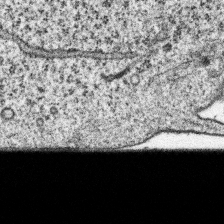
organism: Human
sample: HeLa cells